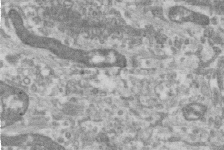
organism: Human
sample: Centriole in RPE cells